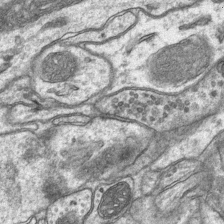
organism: Mouse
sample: CA1 Hippocampus